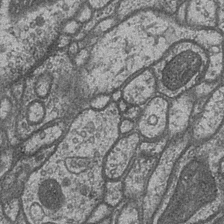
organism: Drosophila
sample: Optic medulla